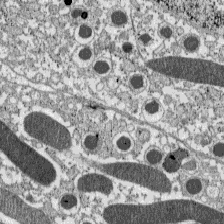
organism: C57BL Mouse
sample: Pancreatic islet